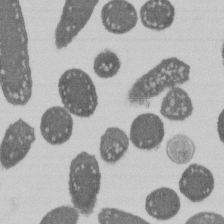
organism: E. coli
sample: Bacterial nucleoid